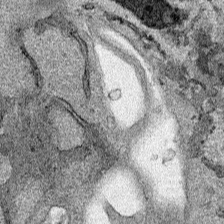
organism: Human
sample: Mitochondria in HCT116 cells